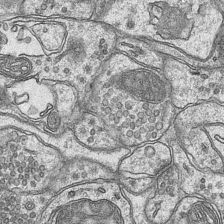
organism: Mouse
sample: CA1 Hippocampus